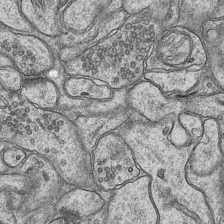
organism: Mouse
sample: CA1 Hippocampus